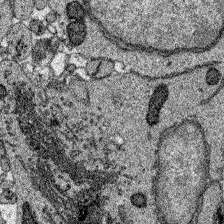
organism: Zebrafish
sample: Larval olfactory bulb